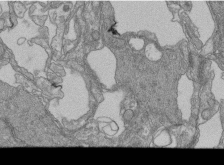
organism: Human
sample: Retinal organoid Rod and Cone cells